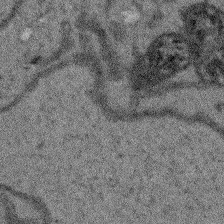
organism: Arabidopsis thaliana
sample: Root tip